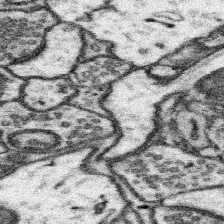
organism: Mouse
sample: Somatosensory cortex neuropil